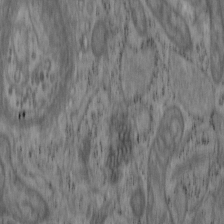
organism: Human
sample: HeLa cells